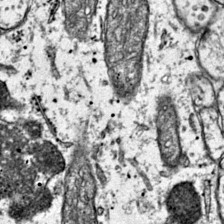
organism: Mouse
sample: Primary visual cortex